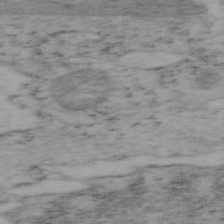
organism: Mouse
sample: OT-I killer T cells with ID8 ovarian cancer cells